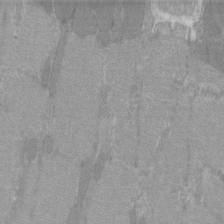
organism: C57BL Mouse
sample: Tibialis anterior muscle cell